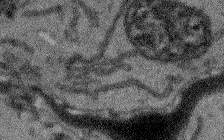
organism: Arabidopsis thaliana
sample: Root tip